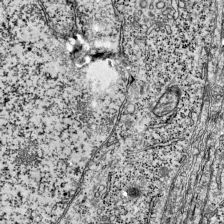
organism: Mouse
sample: Visual Cortex